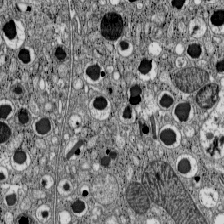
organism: C57BL Mouse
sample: Pancreatic islet